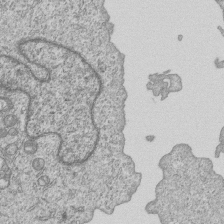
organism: Human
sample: MDA-MB-231 cells